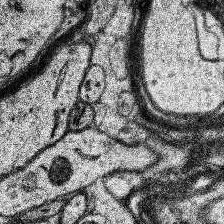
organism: Human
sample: Temporal Lobe